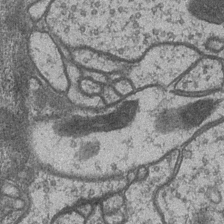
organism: Drosophila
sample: Optic medulla